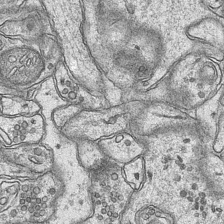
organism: Mouse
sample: CA1 Hippocampus